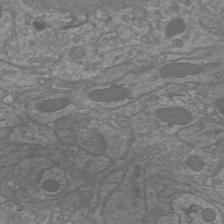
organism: Mouse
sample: Cortical neurons